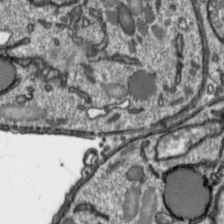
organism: Toxoplasma gondii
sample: Parasites in a vacuole inside a host cell